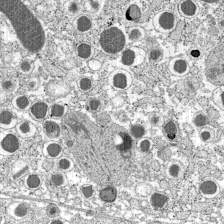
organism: C57BL Mouse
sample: Pancreatic islet